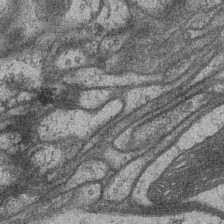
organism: Drosophila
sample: Optic medulla